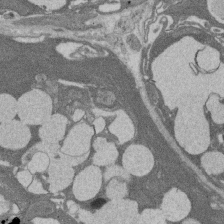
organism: Rat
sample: Salivary granule